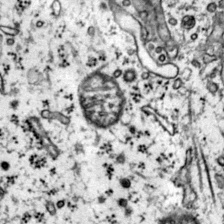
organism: Mouse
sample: Primary visual cortex